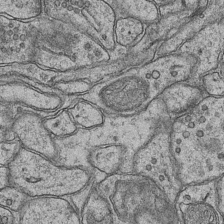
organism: Mouse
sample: CA1 Hippocampus